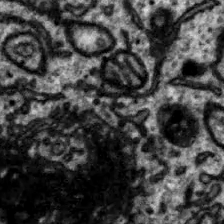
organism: Human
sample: HeLa cells